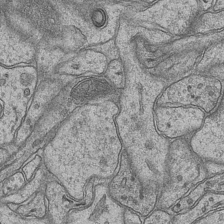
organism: Mouse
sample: CA1 Hippocampus